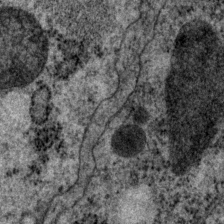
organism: P. pacificus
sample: Pharynx